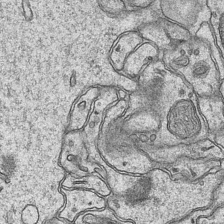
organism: Mouse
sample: CA1 Hippocampus